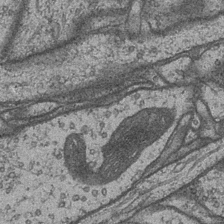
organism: Drosophila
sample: Optic medulla